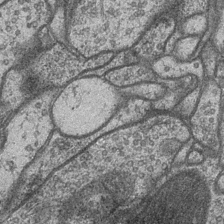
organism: Drosophila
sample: Optic medulla